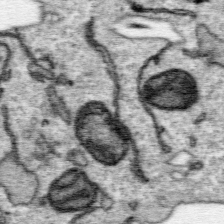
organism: Human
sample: HeLa cells